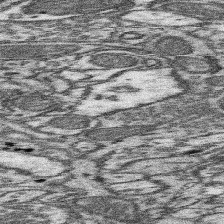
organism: Mouse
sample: Somatosensory cortex neuropil